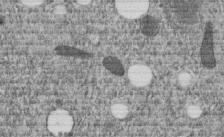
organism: C. elegans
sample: C. elegans embryo early stage